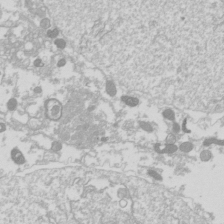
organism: Drosophila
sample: Cell division; meiosis; drosophila spermatocytes